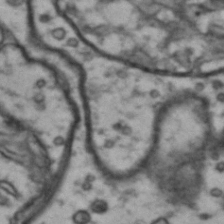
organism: Drosophila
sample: Brain